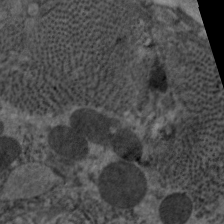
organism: C. elegans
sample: Pharynx